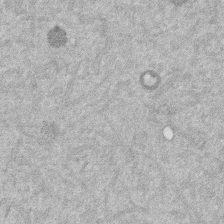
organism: Mouse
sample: Dividing mouse embryo 1 cell stage